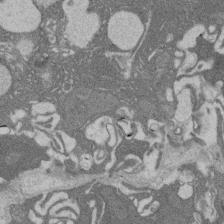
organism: Rat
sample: Salivary granule